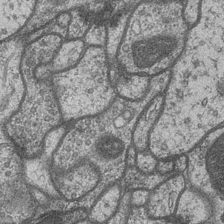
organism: Drosophila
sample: Optic medulla